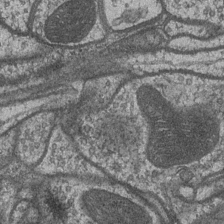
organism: Drosophila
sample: Optic medulla